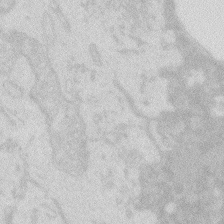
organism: Zebrafish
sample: Macrophage